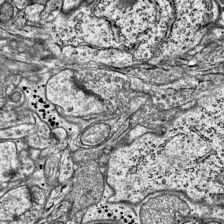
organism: Mouse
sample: Visual Cortex